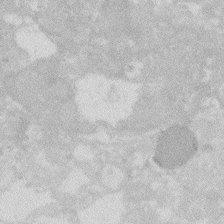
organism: Zebrafish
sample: Macrophage